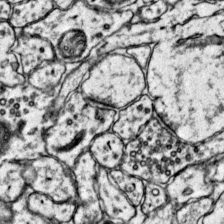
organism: Mouse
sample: Primary visual cortex